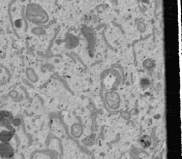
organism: Human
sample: Mitochondria in U2OS cells